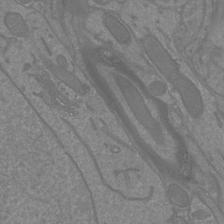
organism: Mouse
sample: Cortical neurons